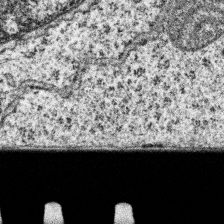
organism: Human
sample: HeLa cells